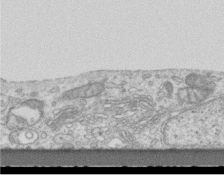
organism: Mouse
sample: Centriole in ependymal cells